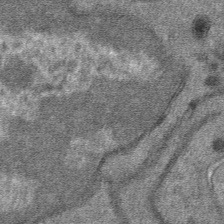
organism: Mouse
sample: Mouse hepatocytes